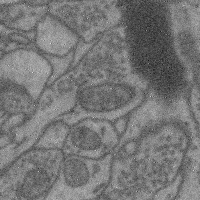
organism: Mouse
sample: Cerebral cortex